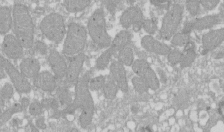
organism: Xenopus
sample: Cilia; centrioles in frog embryo cells